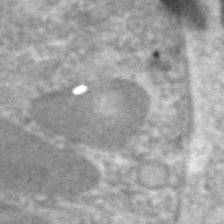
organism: C. elegans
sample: Pharynx